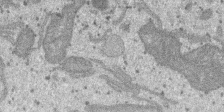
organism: Human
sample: Lung epithelial cells infected with SARS-CoV-2